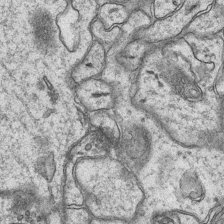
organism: Mouse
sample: CA1 Hippocampus